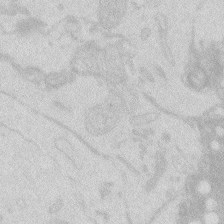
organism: Zebrafish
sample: Macrophage